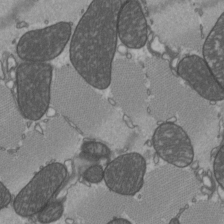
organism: C57BL Mouse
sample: Heart